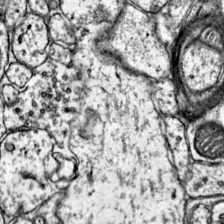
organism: Mouse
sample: Primary visual cortex